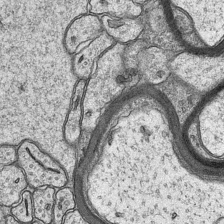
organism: Mouse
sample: CA1 Hippocampus